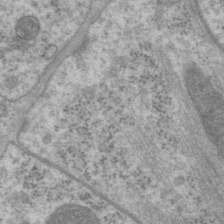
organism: P. pacificus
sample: Pharynx